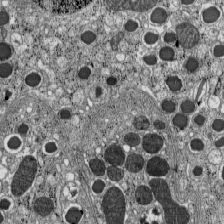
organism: C57BL Mouse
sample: Pancreatic islet